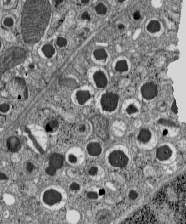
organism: C57BL Mouse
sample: Pancreatic islet